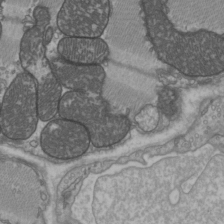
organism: C57BL Mouse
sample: Heart